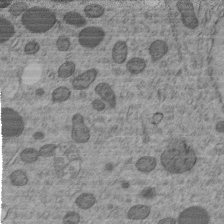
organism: C. elegans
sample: C. elegans embryo early stage